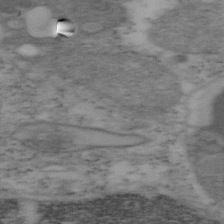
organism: Mouse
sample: OT-I killer T cells with ID8 ovarian cancer cells